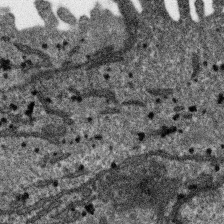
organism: Human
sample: Lung epithelial cells infected with SARS-CoV-2